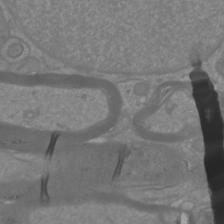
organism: Mouse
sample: Cortical neurons